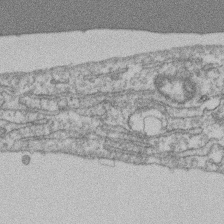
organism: Mouse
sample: T cell stromal cell synapse